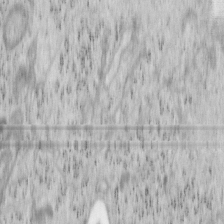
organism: Human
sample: HeLa cells